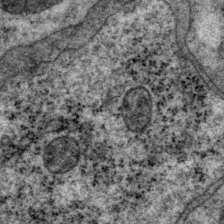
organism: P. pacificus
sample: Pharynx